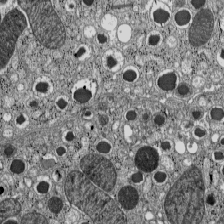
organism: C57BL Mouse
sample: Pancreatic islet